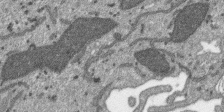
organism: Human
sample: Lung epithelial cells infected with SARS-CoV-2